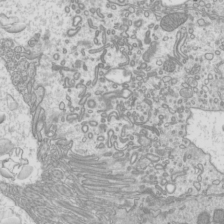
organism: Mouse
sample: Cilia; mouse epididymis